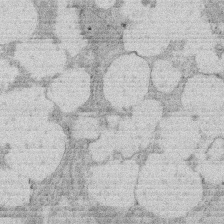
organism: Rat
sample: Salivary granule